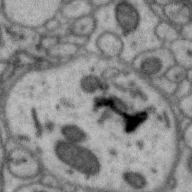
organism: Zebra finch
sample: Brain